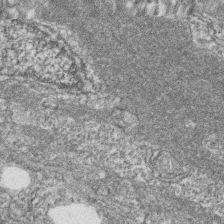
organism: Zebrafish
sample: Cilia; retinal pigment epithelium